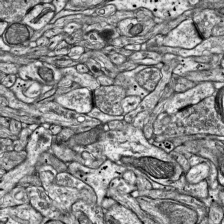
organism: Mouse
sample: Visual Cortex